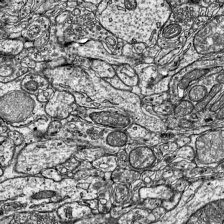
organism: Mouse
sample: Visual Cortex